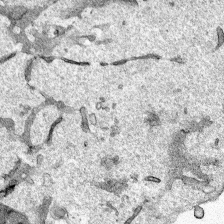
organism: Human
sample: Mitochondria in HCT116 cells